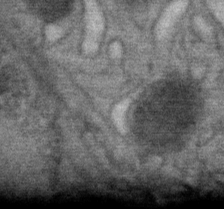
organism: Mouse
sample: Mouse Salivary gland